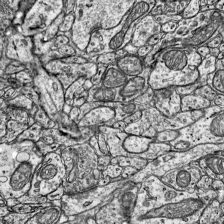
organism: Mouse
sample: Visual Cortex